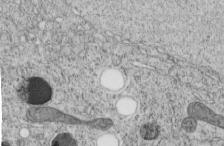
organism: C. elegans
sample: C. elegans embryo early stage